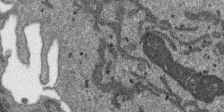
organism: Human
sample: Lung epithelial cells infected with SARS-CoV-2